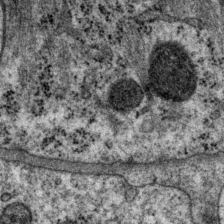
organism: P. pacificus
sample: Pharynx